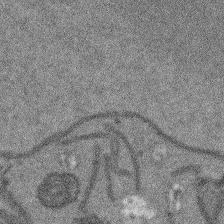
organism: Arabidopsis thaliana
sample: Root tip